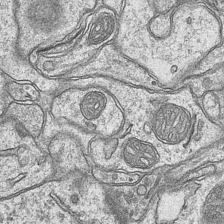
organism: Mouse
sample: CA1 Hippocampus